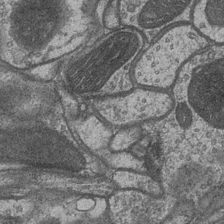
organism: Drosophila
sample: Optic medulla